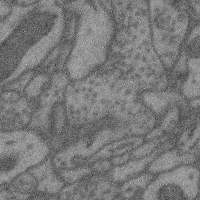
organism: Mouse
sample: Cerebral cortex